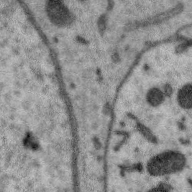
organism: Zebra finch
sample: Brain